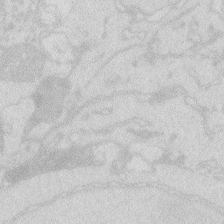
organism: Zebrafish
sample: Macrophage